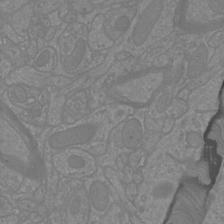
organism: Mouse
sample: Cortical neurons